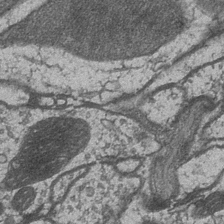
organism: Drosophila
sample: Optic medulla